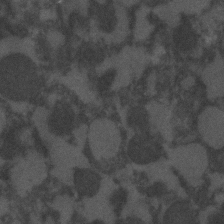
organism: C. elegans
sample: C. elegans embryo